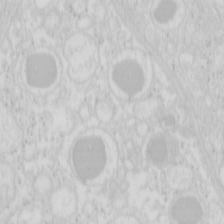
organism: Mouse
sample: Pancreas